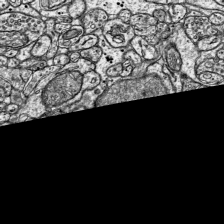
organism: Mouse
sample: Visual Cortex